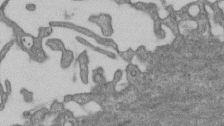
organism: Mouse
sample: Centriole in ependymal cells